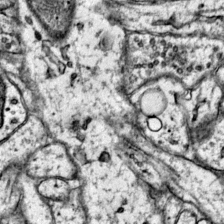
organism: Mouse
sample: Primary visual cortex